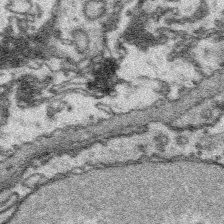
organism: Platynereis dumerilii